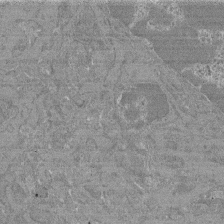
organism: Mouse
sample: Glomerulus